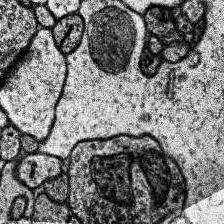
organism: Human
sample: Temporal Lobe